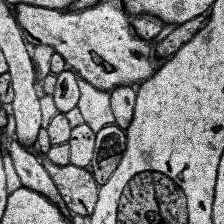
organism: Human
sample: Temporal Lobe